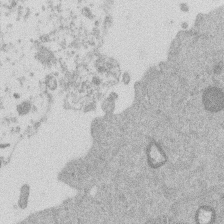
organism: Mouse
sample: Dividing mouse embryo 1 cell stage